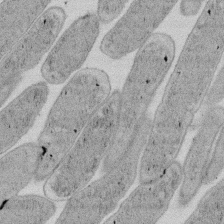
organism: E. coli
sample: Bacterial nucleoid